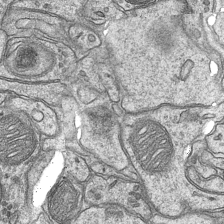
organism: Mouse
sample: CA1 Hippocampus